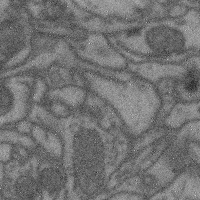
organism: Mouse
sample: Cerebral cortex